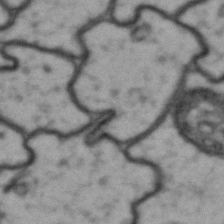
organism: Drosophila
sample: Brain